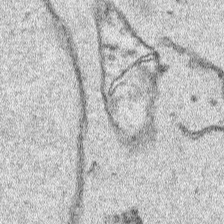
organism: Human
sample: Mitochondria in HCT116 cells